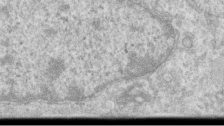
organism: Human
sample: Centriole in RPE cells